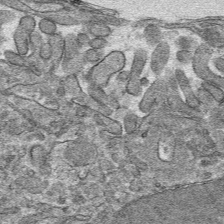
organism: Mouse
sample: Mouse hepatocytes